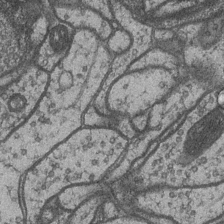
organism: Drosophila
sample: Optic medulla